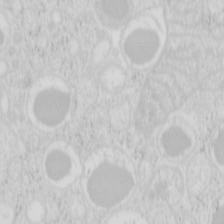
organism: Mouse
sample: Pancreas